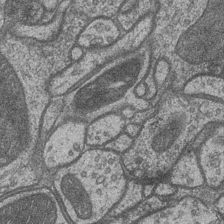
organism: Drosophila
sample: Optic medulla